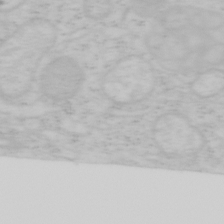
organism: Mouse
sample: OT-I killer T cells with ID8 ovarian cancer cells